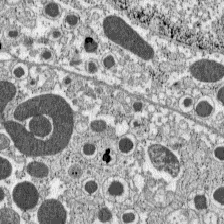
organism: C57BL Mouse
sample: Pancreatic islet